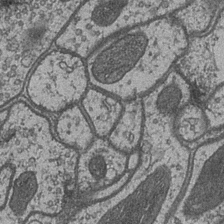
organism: Drosophila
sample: Optic medulla